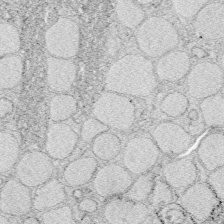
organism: Zebrafish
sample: Whole-Brain